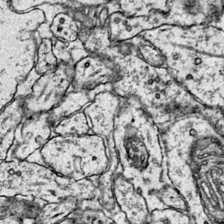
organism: Mouse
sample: Primary visual cortex